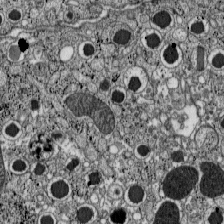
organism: C57BL Mouse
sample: Pancreatic islet